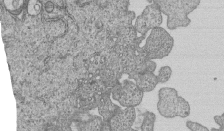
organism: Human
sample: MDA-MB-231 cells